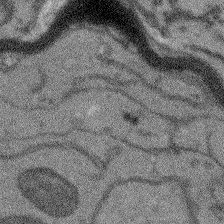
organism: Arabidopsis thaliana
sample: Root tip